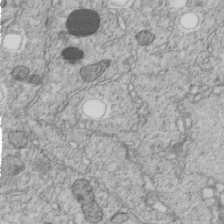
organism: C. elegans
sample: C. elegans embryo early stage